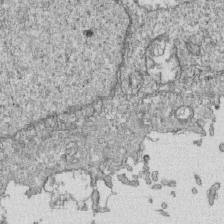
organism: Human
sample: HeLa cell HIV synapse